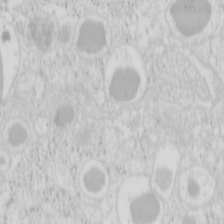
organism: Mouse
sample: Pancreas